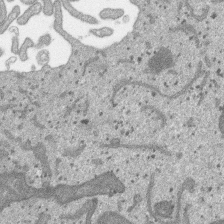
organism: Human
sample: Lung epithelial cells infected with SARS-CoV-2